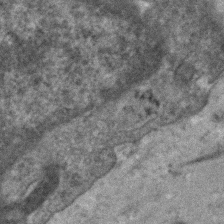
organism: Human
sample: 1205lu cells